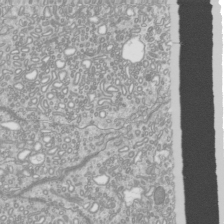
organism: Mouse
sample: Cilia; mouse epididymis